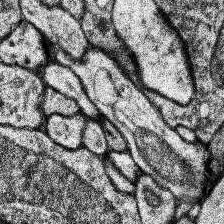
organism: Human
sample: Temporal Lobe